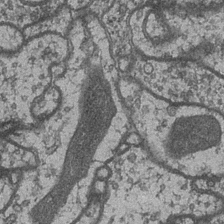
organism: Drosophila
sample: Optic medulla